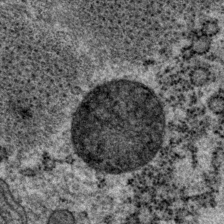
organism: P. pacificus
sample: Pharynx